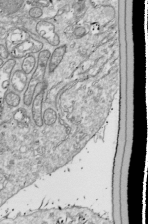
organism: Drosophila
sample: Cell division; meiosis; drosophila spermatocytes